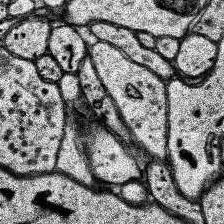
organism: Human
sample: Temporal Lobe